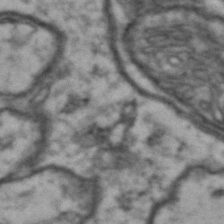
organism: Drosophila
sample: Brain